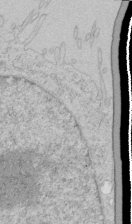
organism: Human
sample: Mitochondria in HCT116 cells